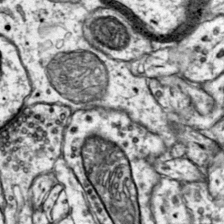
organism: Mouse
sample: Primary visual cortex